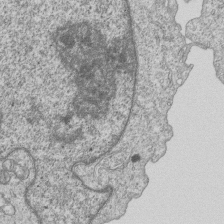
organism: Human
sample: MDA-MB-231 cells